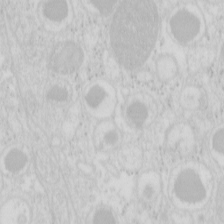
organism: Mouse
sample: Pancreas